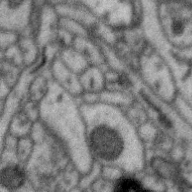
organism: Zebra finch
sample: Brain